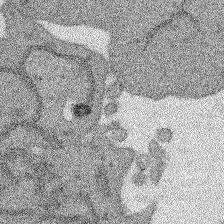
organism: Human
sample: HeLa cells